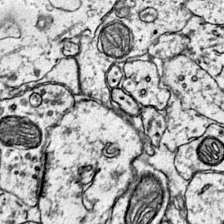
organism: Mouse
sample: Primary visual cortex